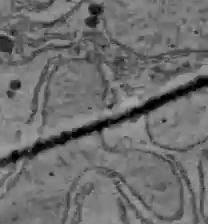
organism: C57BL Mouse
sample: Liver